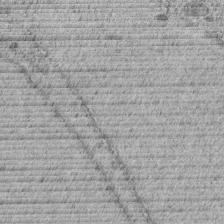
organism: C. elegans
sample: C. elegans embryo early stage